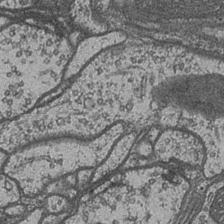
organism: Drosophila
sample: Optic medulla